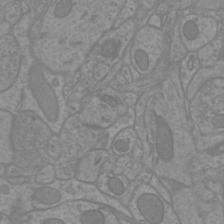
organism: Mouse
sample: Cortical neurons